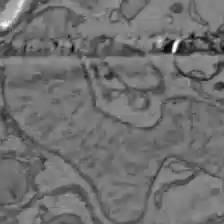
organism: C57BL Mouse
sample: Liver